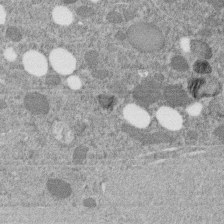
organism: C. elegans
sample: C. elegans embryo early stage